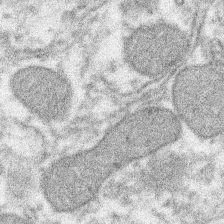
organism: Xenopus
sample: Cilia; centrioles in frog embryo cells